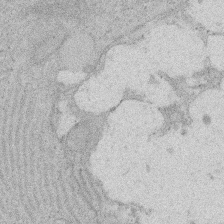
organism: Rat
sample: Salivary granule